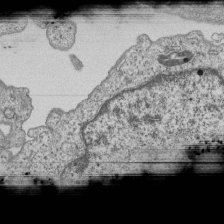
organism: Human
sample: MDA-MB-231 cells